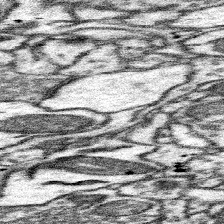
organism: Mouse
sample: Somatosensory cortex neuropil